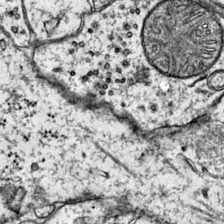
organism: Mouse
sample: Primary visual cortex